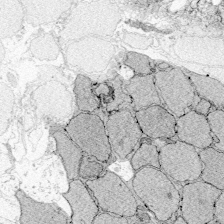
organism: Zebrafish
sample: Whole-Brain